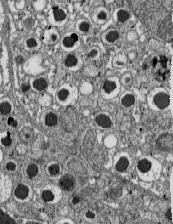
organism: C57BL Mouse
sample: Pancreatic islet